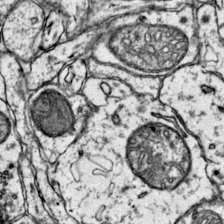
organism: Mouse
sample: Primary visual cortex